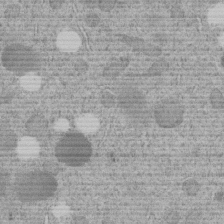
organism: C. elegans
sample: C. elegans embryo early stage